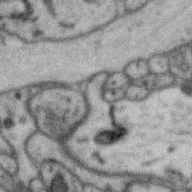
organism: Zebra finch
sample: Brain